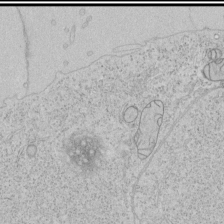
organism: Human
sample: Mitochondria in HCT116 cells